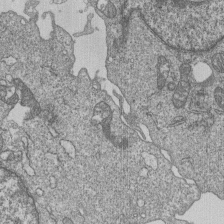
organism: Human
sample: MDA-MB-231 cells